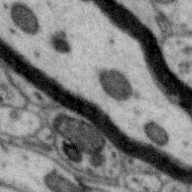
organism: Zebra finch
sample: Brain